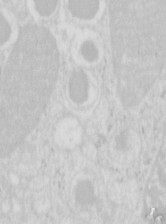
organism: Mouse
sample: Pancreas